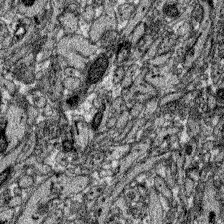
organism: Zebrafish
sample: Larval olfactory bulb